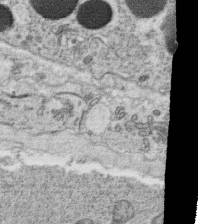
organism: C. elegans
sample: C. elegans oocyte; sperm cells